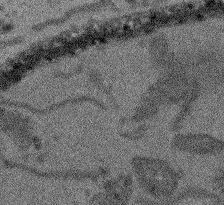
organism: Arabidopsis thaliana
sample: Root tip